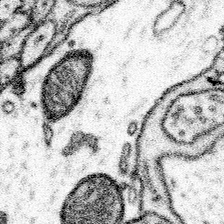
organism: Mouse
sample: Somatosensory cortex neuropil